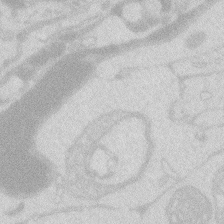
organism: Zebrafish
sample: Macrophage